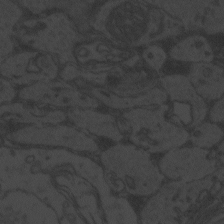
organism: Zebrafish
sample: Macrophage infected with Toxoplasma gondii